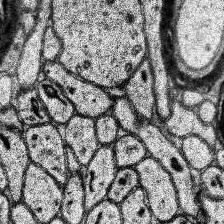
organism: Human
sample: Temporal Lobe